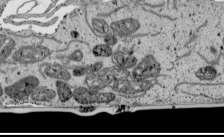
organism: Human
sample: Mitochondria in HCT116 cells